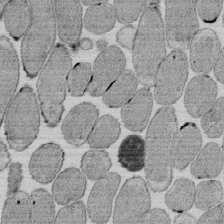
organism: E. coli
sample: Bacterial nucleoid